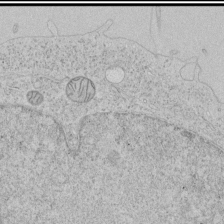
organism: Human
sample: Mitochondria in HCT116 cells